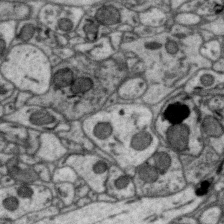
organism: Zebra finch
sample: Brain